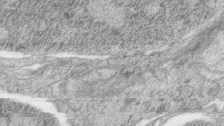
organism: Zebrafish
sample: synaptic ribbons in rod cells and cone cells